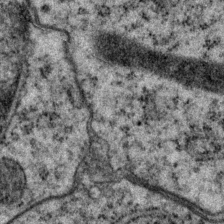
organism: P. pacificus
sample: Pharynx